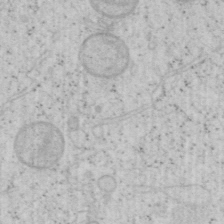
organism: Human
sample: HeLa cells